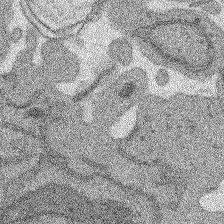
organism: Human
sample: HeLa cells